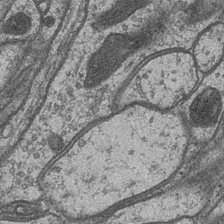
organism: Drosophila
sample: Optic medulla